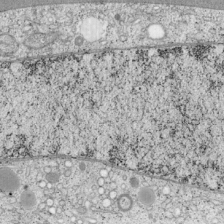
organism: African green monkey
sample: COS-7 cells